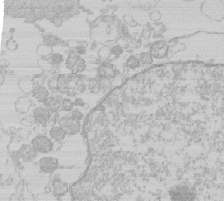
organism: Human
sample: Macrophage cells